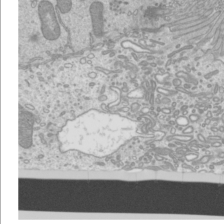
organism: Mouse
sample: Cilia; mouse epididymis